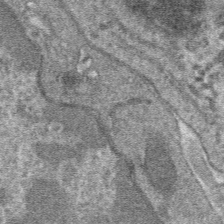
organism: Mouse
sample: Mouse hepatocytes